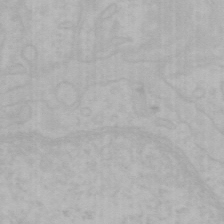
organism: Mouse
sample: Choroid plexus